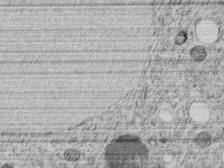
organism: C. elegans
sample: C. elegans embryo early stage